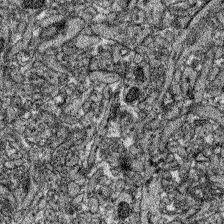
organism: Zebrafish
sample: Larval olfactory bulb